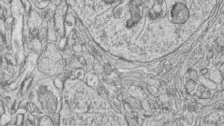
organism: Zebrafish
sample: synaptic ribbons in rod cells and cone cells